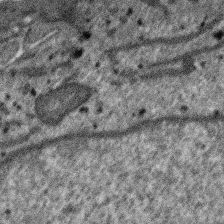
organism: Human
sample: Lung epithelial cells infected with SARS-CoV-2